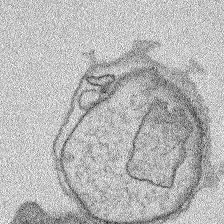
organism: Human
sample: HeLa cells